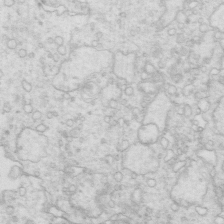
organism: Mouse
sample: Multiciliated cells